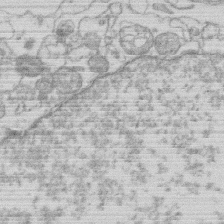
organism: Human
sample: Macrophage cells